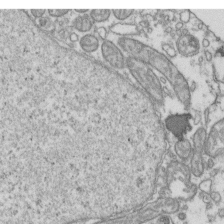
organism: Human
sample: Activated Jurkat CD4+ T cells